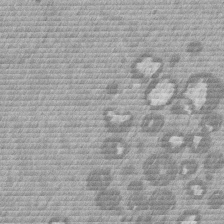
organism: Mouse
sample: Dividing mouse embryo 1 cell stage